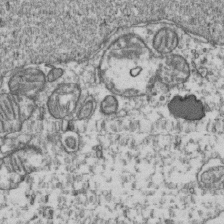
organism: Human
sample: Activated Jurkat CD4+ T cells